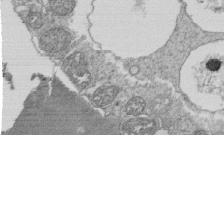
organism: Tetrahymena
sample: Cilia in tetrahymena